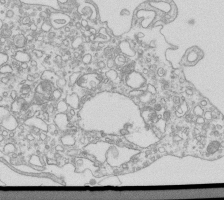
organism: Mouse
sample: Macrophages